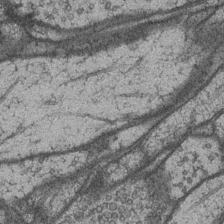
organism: Drosophila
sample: Optic medulla